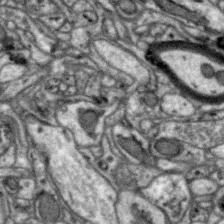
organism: Zebra finch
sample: Brain